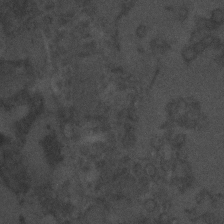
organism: C. elegans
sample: C. elegans embryo